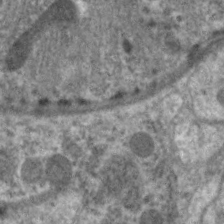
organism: C. elegans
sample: Pharynx